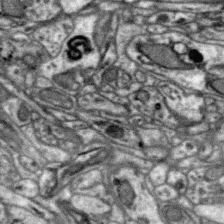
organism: Zebra finch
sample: Brain